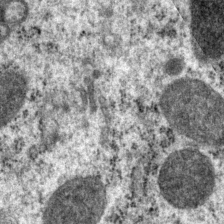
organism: P. pacificus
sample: Pharynx